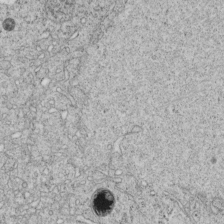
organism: C. elegans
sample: C. elegans embryo early stage